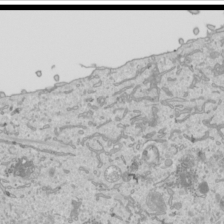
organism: Human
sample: Mitochondria in HCT116 cells